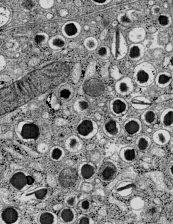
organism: C57BL Mouse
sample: Pancreatic islet